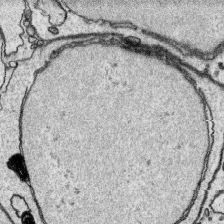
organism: Platynereis dumerilii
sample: Parapodia